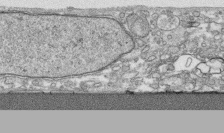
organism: Human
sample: CRL-1474